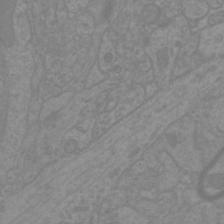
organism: Mouse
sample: Cortical neurons